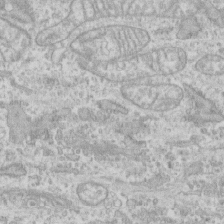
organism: Human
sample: CRL-1474